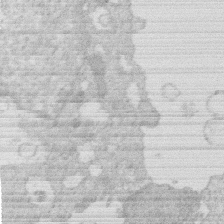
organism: Human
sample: Macrophage cells